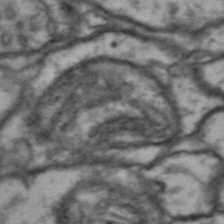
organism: Drosophila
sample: Brain